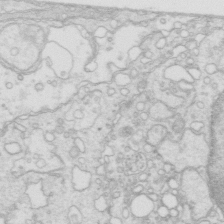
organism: Mouse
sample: Multiciliated cells